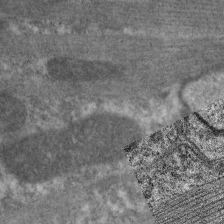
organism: C. elegans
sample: Pharynx